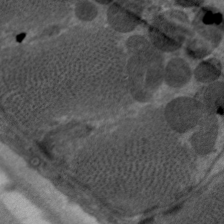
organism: C. elegans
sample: Pharynx